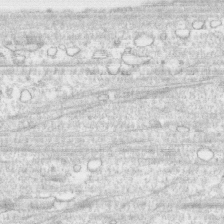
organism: Human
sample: CRL-1474